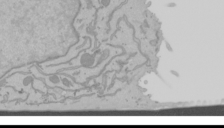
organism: Mouse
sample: Cancer cell death in ED-1 cells